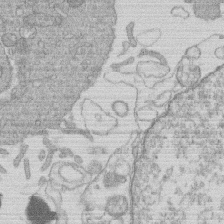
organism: Human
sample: Macrophage cells